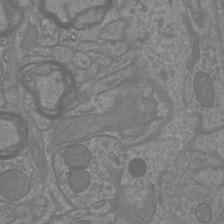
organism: Mouse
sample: Cortical neurons